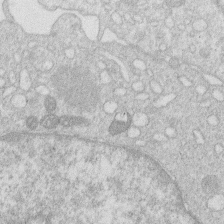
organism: Human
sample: Macrophage cells